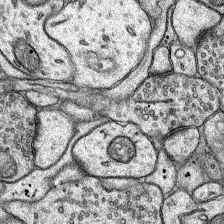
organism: Rat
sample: Hippocampus